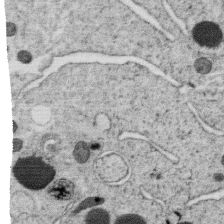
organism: C. elegans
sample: C. elegans oocyte; sperm cells